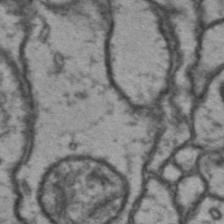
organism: Drosophila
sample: Brain